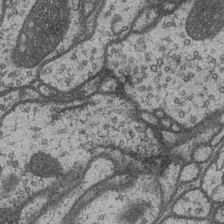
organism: Drosophila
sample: Optic medulla